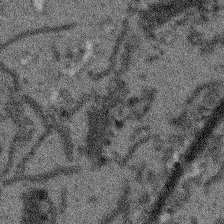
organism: Arabidopsis thaliana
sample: Root tip